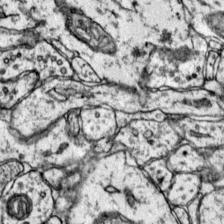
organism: Mouse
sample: Primary visual cortex